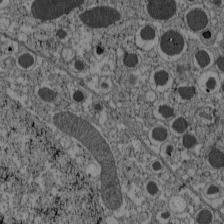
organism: C57BL Mouse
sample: Pancreatic islet